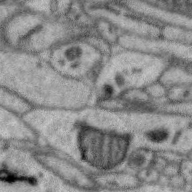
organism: Zebra finch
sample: Brain